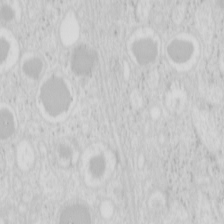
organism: Mouse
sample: Pancreas